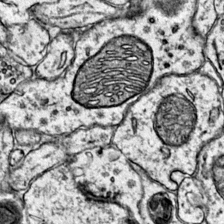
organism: Mouse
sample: Primary visual cortex